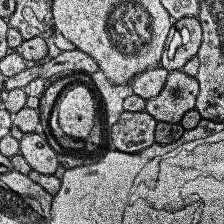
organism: Human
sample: Temporal Lobe